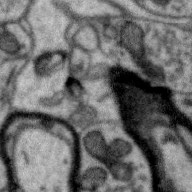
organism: Zebra finch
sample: Brain